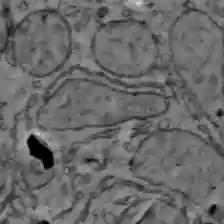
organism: C57BL Mouse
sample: Liver